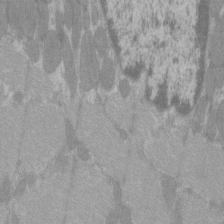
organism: C57BL Mouse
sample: Tibialis anterior muscle cell